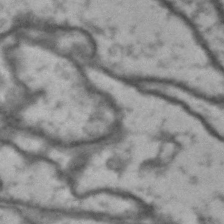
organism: Drosophila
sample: Brain